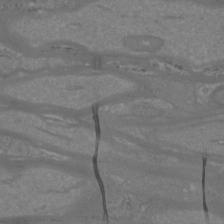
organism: Mouse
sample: Cortical neurons